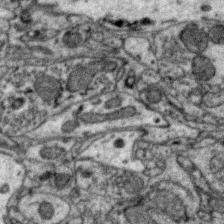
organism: Zebra finch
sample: Brain